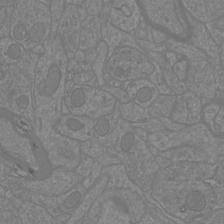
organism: Mouse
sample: Cortical neurons